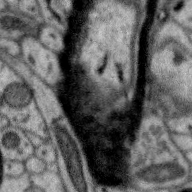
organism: Zebra finch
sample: Brain